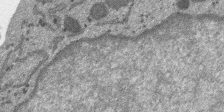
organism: Human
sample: Lung epithelial cells infected with SARS-CoV-2